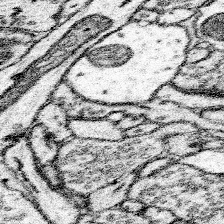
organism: Mouse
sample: Somatosensory cortex neuropil